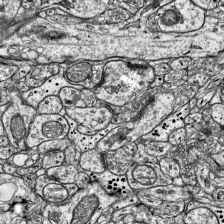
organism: Mouse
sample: Visual Cortex